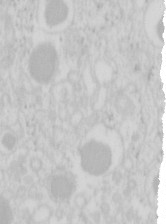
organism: Mouse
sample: Pancreas